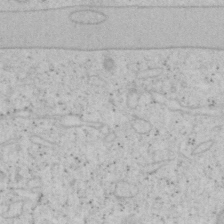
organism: Human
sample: HeLa cells